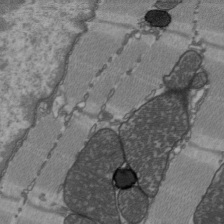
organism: C57BL Mouse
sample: Heart